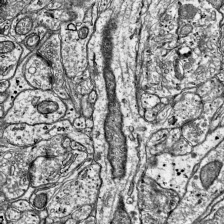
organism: Mouse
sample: Visual Cortex